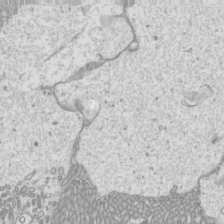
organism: Mouse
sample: Cilia; mouse epididymis